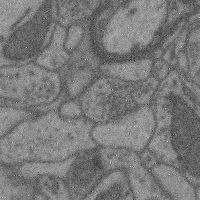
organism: Mouse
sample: Cerebral cortex